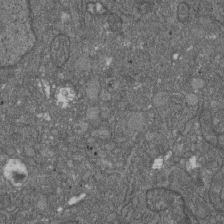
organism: Drosophila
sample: Nephrocyte